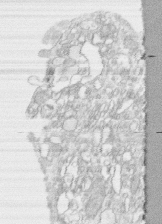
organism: Human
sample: CRL-1474